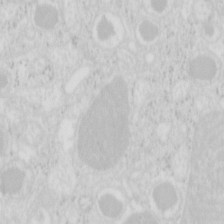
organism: Mouse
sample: Pancreas